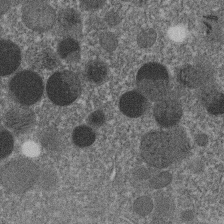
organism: C. elegans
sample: C. elegans embryo early stage